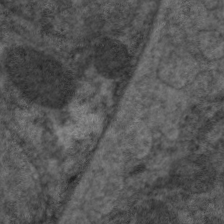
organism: C. elegans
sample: Pharynx